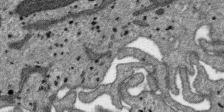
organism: Human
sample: Lung epithelial cells, uninfected (mock) control